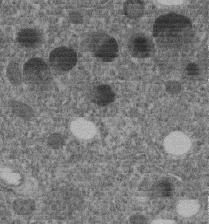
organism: C. elegans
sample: C. elegans embryo early stage